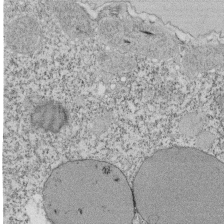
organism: Tetrahymena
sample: Cilia in tetrahymena